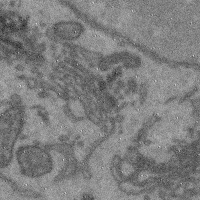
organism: Mouse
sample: Cerebral cortex